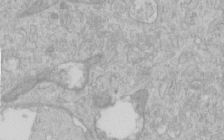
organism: Human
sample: Centriole in RPE cells